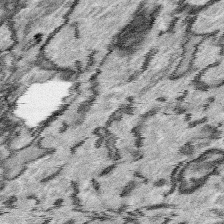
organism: Human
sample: HeLa cells